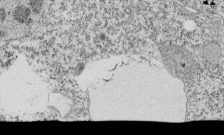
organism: Tetrahymena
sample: Cilia in tetrahymena